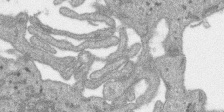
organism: Human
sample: Lung epithelial cells infected with SARS-CoV-2